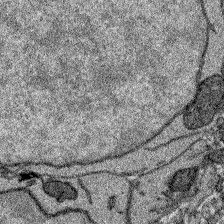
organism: Zebrafish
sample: Larval olfactory bulb